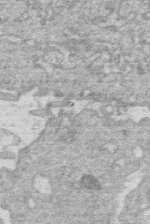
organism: Human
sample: Macrophage cells